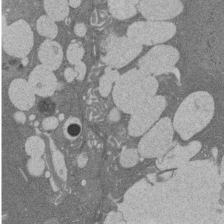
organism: Rat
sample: Salivary granule